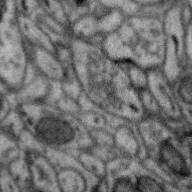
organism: Zebra finch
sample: Brain